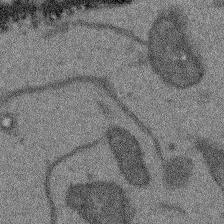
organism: Arabidopsis thaliana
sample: Root tip